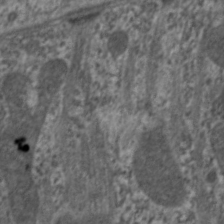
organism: C. elegans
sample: Pharynx